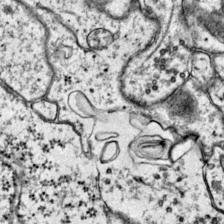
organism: Mouse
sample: Primary visual cortex